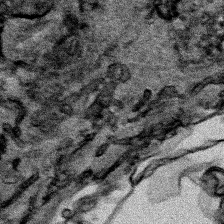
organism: Human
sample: Mitochondria in HCT116 cells